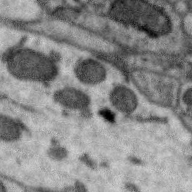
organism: Zebra finch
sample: Brain